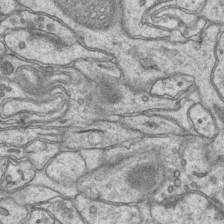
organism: Mouse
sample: CA1 Hippocampus